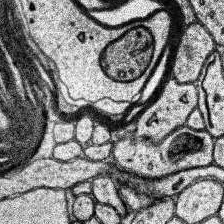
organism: Human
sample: Temporal Lobe